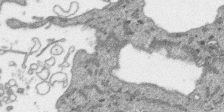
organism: Human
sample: Lung epithelial cells infected with SARS-CoV-2